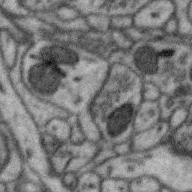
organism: Zebra finch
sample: Brain